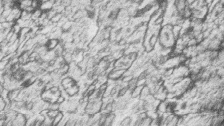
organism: Zebrafish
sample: synaptic ribbons in rod cells and cone cells